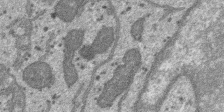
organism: Human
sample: Lung epithelial cells infected with SARS-CoV-2